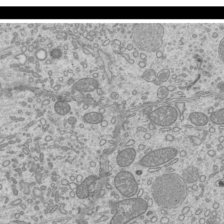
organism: Mouse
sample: Cilia; mouse epididymis